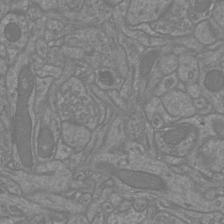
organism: Mouse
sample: Cortical neurons